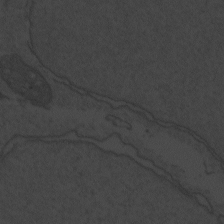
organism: Zebrafish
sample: Macrophage infected with Toxoplasma gondii